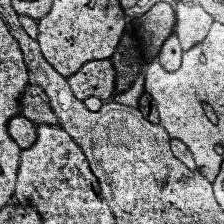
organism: Human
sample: Temporal Lobe